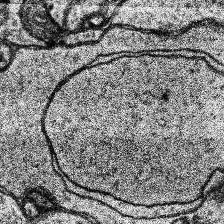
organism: Human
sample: Temporal Lobe